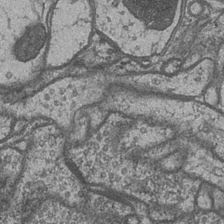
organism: Drosophila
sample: Optic medulla